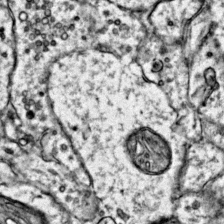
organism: Mouse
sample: Primary visual cortex